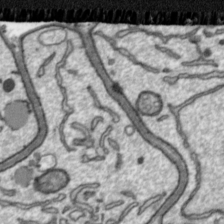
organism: Toxoplasma gondii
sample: Parasites in a vacuole inside a host cell